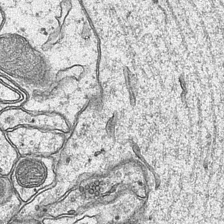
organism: Mouse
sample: CA1 Hippocampus